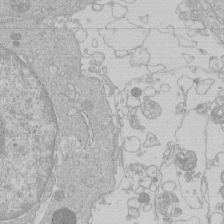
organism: Human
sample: Macrophage cells